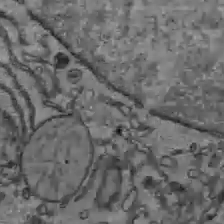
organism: C57BL Mouse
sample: Liver